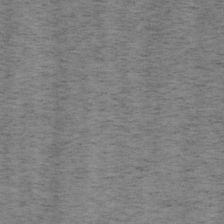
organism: Mouse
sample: OT-I killer T cells with ID8 ovarian cancer cells